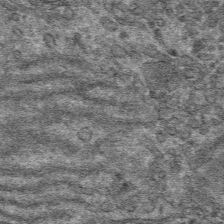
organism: Mouse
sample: Mouse hepatocytes